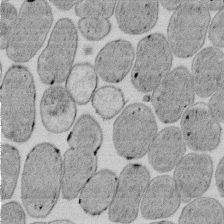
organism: E. coli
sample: Bacterial nucleoid